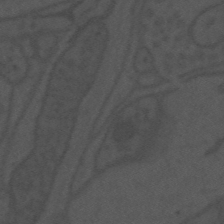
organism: Mouse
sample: Suprachiasmatic nucleus